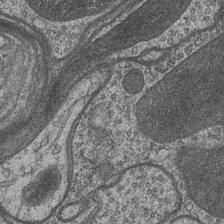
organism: Drosophila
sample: Optic medulla